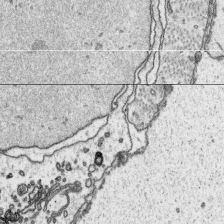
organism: Platynereis dumerilii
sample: Parapodia